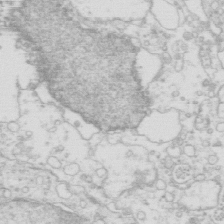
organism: Mouse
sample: Multiciliated cells